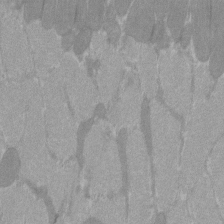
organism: C57BL Mouse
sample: Tibialis anterior muscle cell